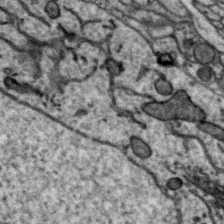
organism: Zebra finch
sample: Brain